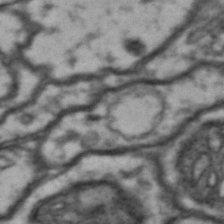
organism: Drosophila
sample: Brain